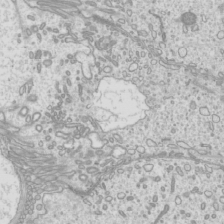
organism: Mouse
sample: Cilia; mouse epididymis